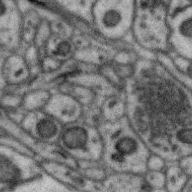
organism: Zebra finch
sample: Brain